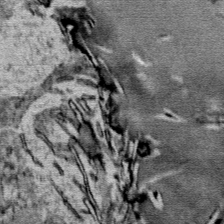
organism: Mouse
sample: Mouse Salivary gland